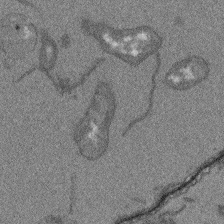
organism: Arabidopsis thaliana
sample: Root tip